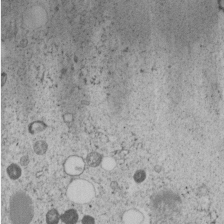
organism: C. elegans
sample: C. elegans embryo early stage